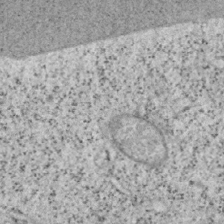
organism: Mouse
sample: OT-I killer T cells with ID8 ovarian cancer cells